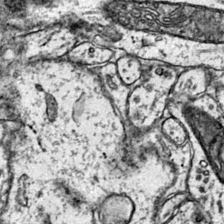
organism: Mouse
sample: Primary visual cortex